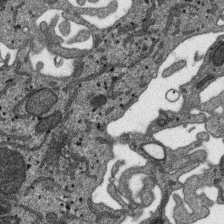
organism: Human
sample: Lung epithelial cells infected with SARS-CoV-2